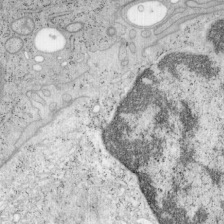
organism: Mouse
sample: OT-I killer T cells with ID8 ovarian cancer cells